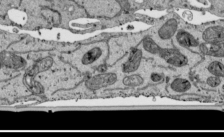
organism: Human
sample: Mitochondria in HCT116 cells